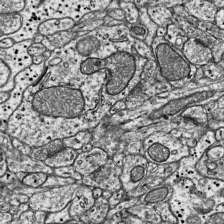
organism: Mouse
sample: Visual Cortex